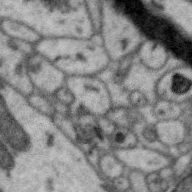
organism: Zebra finch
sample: Brain